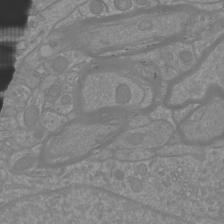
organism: Mouse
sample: Cortical neurons